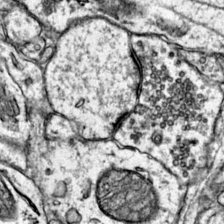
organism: Mouse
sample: Primary visual cortex